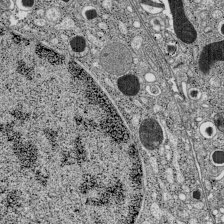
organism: C57BL Mouse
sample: Pancreatic islet